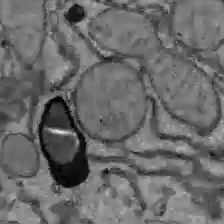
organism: C57BL Mouse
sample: Liver